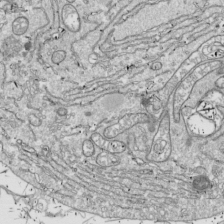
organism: Drosophila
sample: Cell division; meiosis; drosophila spermatocytes